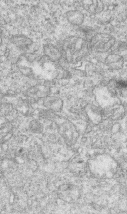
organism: Human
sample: HeLa cell HIV synapse